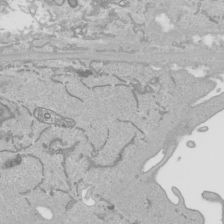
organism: Human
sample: Mitochondria in HCT116 cells